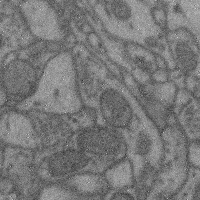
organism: Mouse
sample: Cerebral cortex